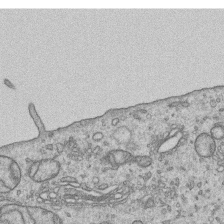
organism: Human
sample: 1205lu cells